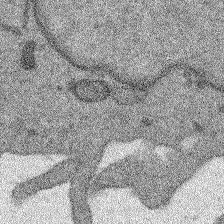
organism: Human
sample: HeLa cells